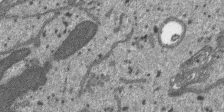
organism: Human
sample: Lung epithelial cells infected with SARS-CoV-2